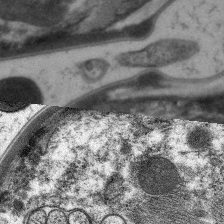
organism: C. elegans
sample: Pharynx